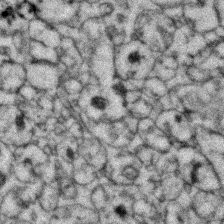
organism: Zebrafish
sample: Zebrafish embryo